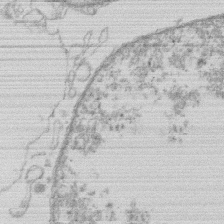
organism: Human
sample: Macrophage cells